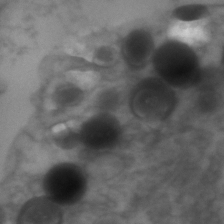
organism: Zebrafish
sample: Zebrafish embryo